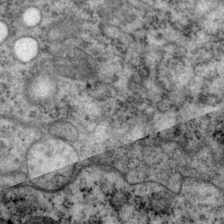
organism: P. pacificus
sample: Pharynx